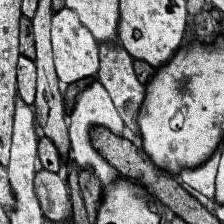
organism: Human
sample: Temporal Lobe